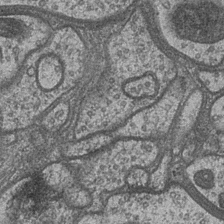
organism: Drosophila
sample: Optic medulla